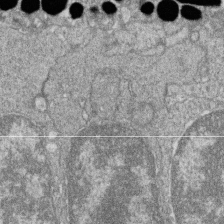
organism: Zebrafish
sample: Cilia; retinal pigment epithelium